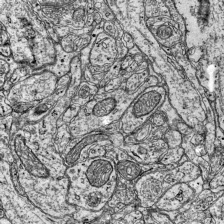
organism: Mouse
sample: Visual Cortex